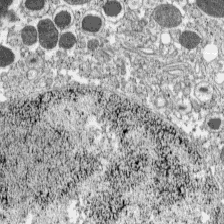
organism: C57BL Mouse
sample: Pancreatic islet